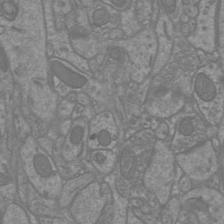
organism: Mouse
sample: Cortical neurons